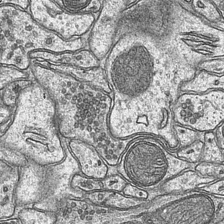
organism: Mouse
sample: CA1 Hippocampus